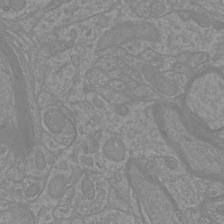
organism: Mouse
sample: Cortical neurons